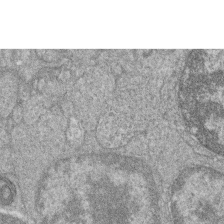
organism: Zebrafish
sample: Cilia; retinal pigment epithelium